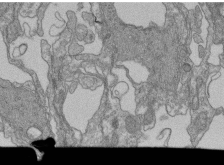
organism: Human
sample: Retinal organoid Rod and Cone cells